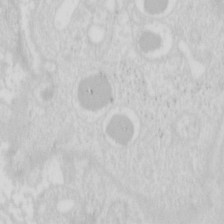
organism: Mouse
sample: Pancreas